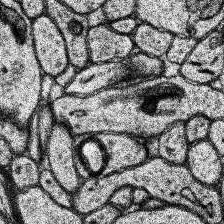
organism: Human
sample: Temporal Lobe